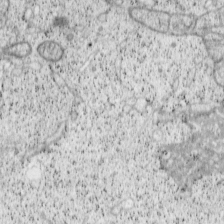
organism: African green monkey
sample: COS-7 cells